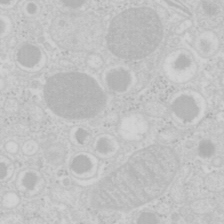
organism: Mouse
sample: Pancreas